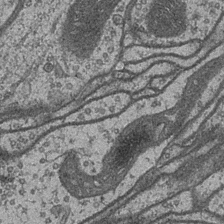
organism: Drosophila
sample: Optic medulla